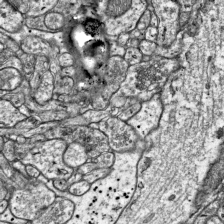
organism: Mouse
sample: Visual Cortex